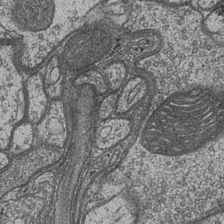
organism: Drosophila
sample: Optic medulla